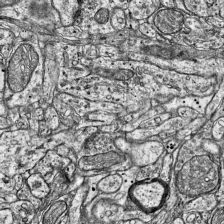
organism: Mouse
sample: Visual Cortex